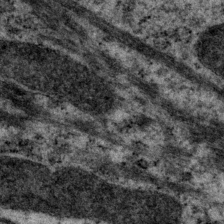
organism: P. pacificus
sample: Pharynx